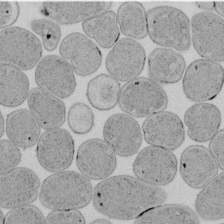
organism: E. coli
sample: Bacterial nucleoid